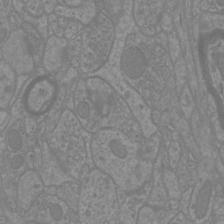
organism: Mouse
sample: Cortical neurons